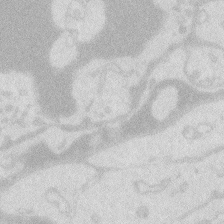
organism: Zebrafish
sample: Macrophage